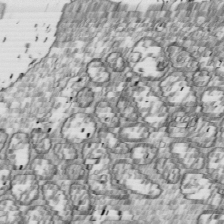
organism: Drosophila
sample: Cell division; meiosis; drosophila spermatocytes